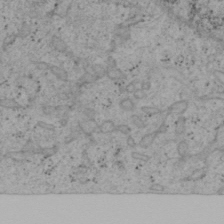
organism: Human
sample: HeLa cells